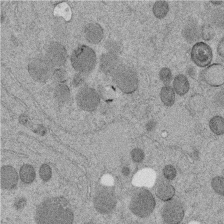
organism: C. elegans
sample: C. elegans embryo early stage